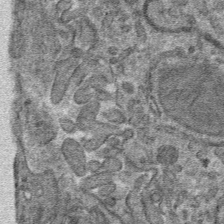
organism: Mouse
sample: Mouse hepatocytes